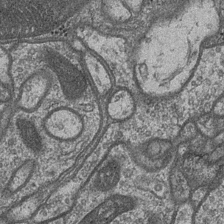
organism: Drosophila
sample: Optic medulla